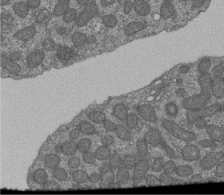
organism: Human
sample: Retinal organoid Rod and Cone cells